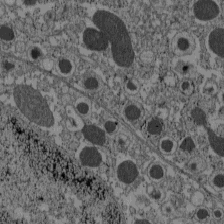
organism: C57BL Mouse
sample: Pancreatic islet